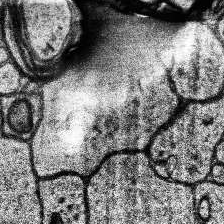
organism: Human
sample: Temporal Lobe